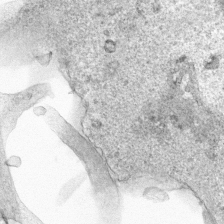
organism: Human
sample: Mitochondria in HCT116 cells